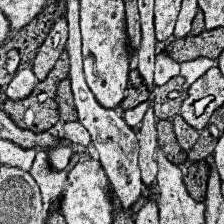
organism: Human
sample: Temporal Lobe